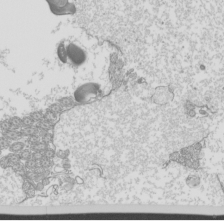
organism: Mouse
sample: Cilia; mouse epididymis